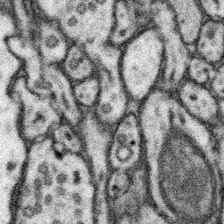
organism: Mouse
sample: Somatosensory cortex neuropil